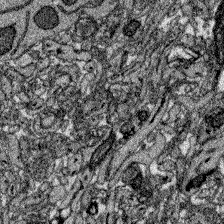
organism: Zebrafish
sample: Larval olfactory bulb